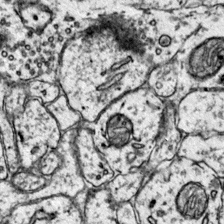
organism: Mouse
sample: Primary visual cortex